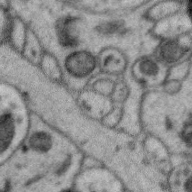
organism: Zebra finch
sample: Brain